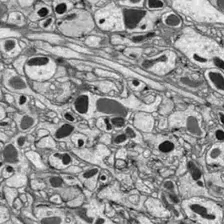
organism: Drosophila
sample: Optic lobe